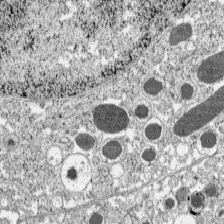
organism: C57BL Mouse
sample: Pancreatic islet